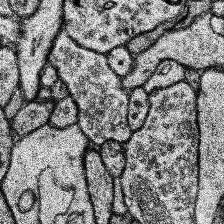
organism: Human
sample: Temporal Lobe